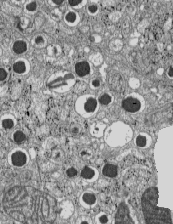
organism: C57BL Mouse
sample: Pancreatic islet